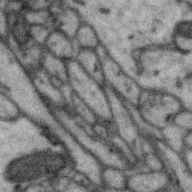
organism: Zebra finch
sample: Brain